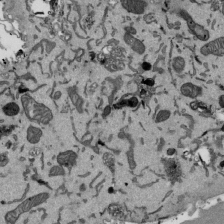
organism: Mouse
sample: ED-1 cell nuclei; centrioles